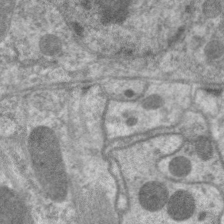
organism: C. elegans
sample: Pharynx